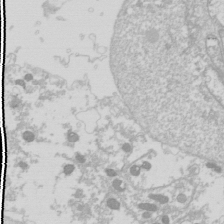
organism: Drosophila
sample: Cell division; meiosis; drosophila spermatocytes